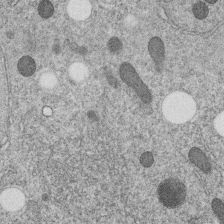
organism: C. elegans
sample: C. elegans embryo early stage